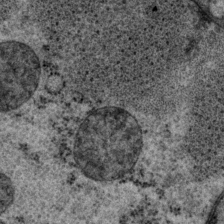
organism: P. pacificus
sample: Pharynx